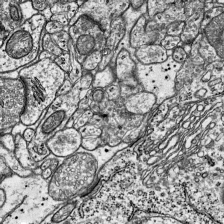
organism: Mouse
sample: Visual Cortex